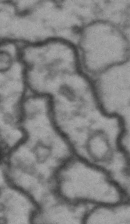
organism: Drosophila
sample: Brain